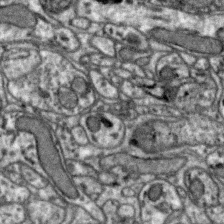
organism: Zebra finch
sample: Brain